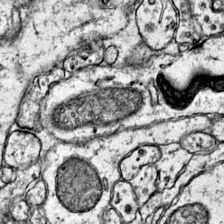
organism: Mouse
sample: Primary visual cortex